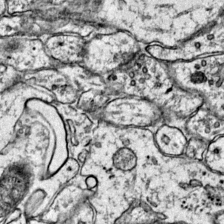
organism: Mouse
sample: Primary visual cortex